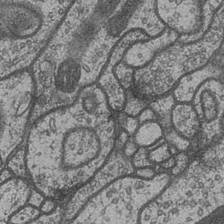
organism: Drosophila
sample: Optic medulla